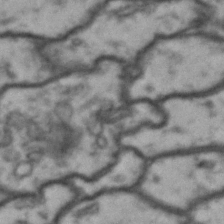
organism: Drosophila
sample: Brain